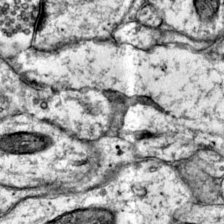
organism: Mouse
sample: Primary visual cortex